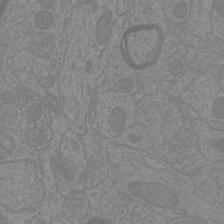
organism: Mouse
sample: Cortical neurons